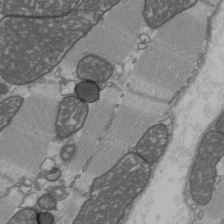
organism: C57BL Mouse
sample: Heart